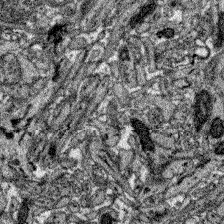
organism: Zebrafish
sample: Larval olfactory bulb